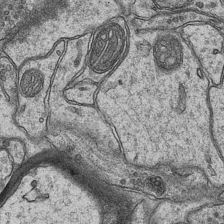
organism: Mouse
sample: CA1 Hippocampus